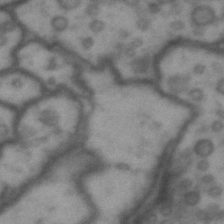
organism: Drosophila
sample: Brain